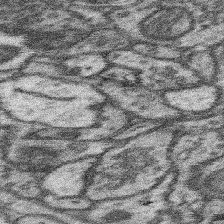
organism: Mouse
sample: Somatosensory cortex neuropil